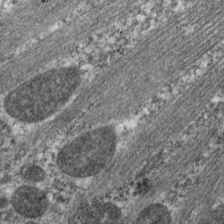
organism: C. elegans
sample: Pharynx